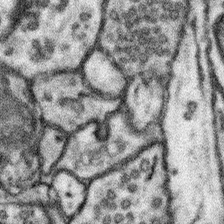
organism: Mouse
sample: Somatosensory cortex neuropil